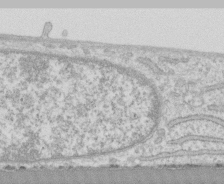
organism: Human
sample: CRL-1474